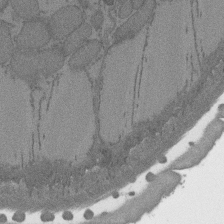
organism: C. elegans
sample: AFD neurons C. elegans